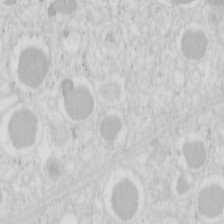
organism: Mouse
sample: Pancreas